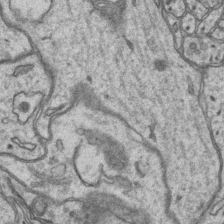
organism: Mouse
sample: CA1 Hippocampus